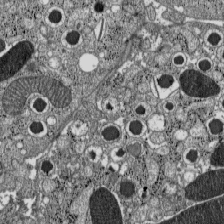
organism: C57BL Mouse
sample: Pancreatic islet